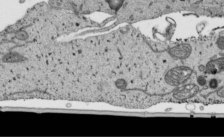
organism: Human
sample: Mitochondria in HCT116 cells